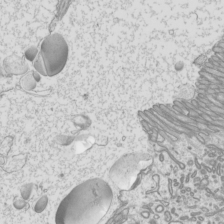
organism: Mouse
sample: Cilia; mouse epididymis